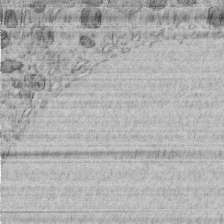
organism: C. elegans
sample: C. elegans embryo early stage